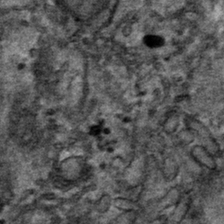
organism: Mouse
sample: Mouse hepatocytes